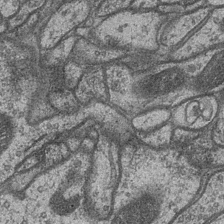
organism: Drosophila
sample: Optic medulla